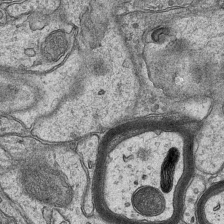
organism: Mouse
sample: CA1 Hippocampus